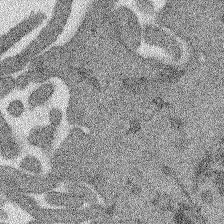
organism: Human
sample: HeLa cells